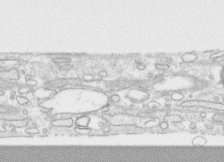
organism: Human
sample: CRL-1474